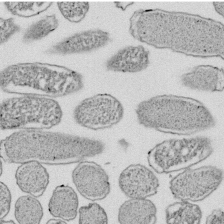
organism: E. coli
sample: Bacterial nucleoid